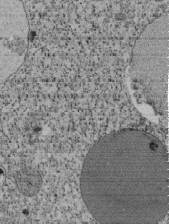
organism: Tetrahymena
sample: Cilia in tetrahymena